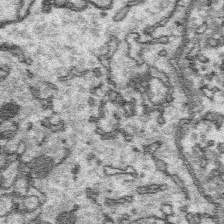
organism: Platynereis dumerilii